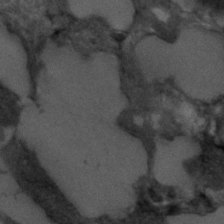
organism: C. elegans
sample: C. elegans embryo